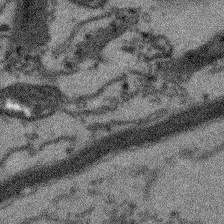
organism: Arabidopsis thaliana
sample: Root tip